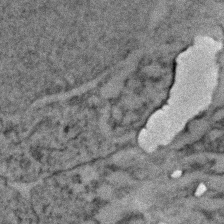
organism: Zebrafish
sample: Zebrafish embryo